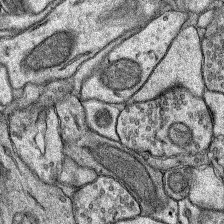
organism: Rat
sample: Hippocampus